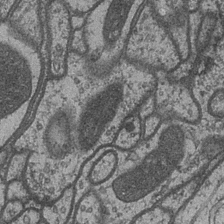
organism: Drosophila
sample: Optic medulla